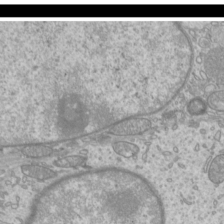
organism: Mouse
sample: Cilia; mouse epididymis